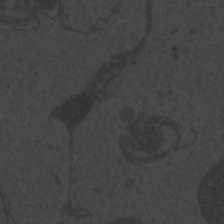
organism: Zebrafish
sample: Macrophage infected with Toxoplasma gondii